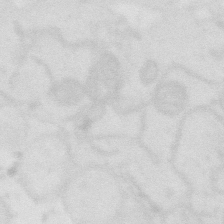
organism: Human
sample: HeLa cells